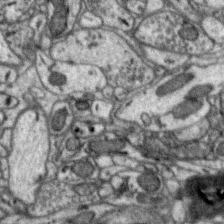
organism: Zebra finch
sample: Brain